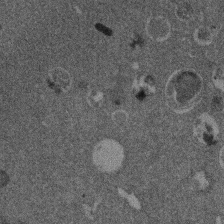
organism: Mouse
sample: Dividing mouse embryo 1 cell stage